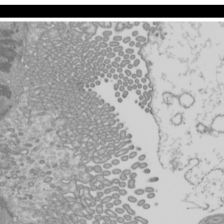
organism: Mouse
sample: Cilia; mouse epididymis